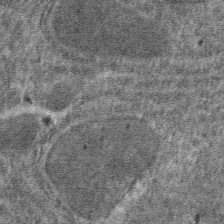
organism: Mouse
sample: Mouse hepatocytes